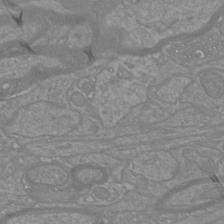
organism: Mouse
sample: Cortical neurons